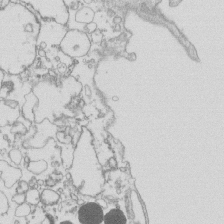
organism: Mouse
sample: Macrophages